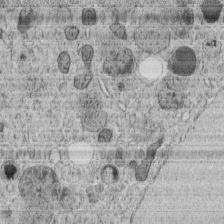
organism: C. elegans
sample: C. elegans embryo early stage